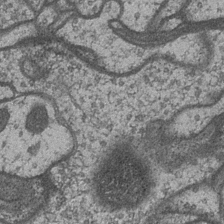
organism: Drosophila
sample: Optic medulla